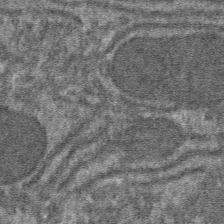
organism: Mouse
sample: Mouse hepatocytes